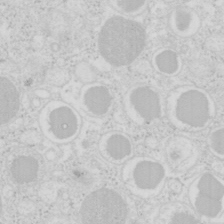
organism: Mouse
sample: Pancreas